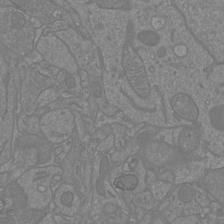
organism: Mouse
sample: Cortical neurons